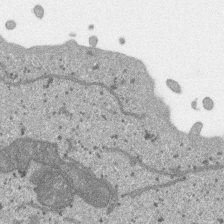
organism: Human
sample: Lung epithelial cells infected with SARS-CoV-2